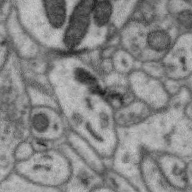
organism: Zebra finch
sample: Brain